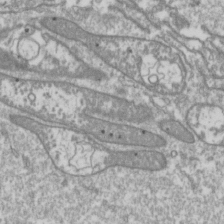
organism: Drosophila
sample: Cell division; meiosis; drosophila spermatocytes